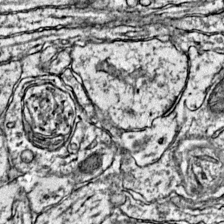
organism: Mouse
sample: Primary visual cortex